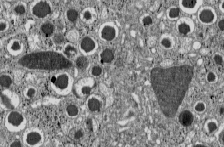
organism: C57BL Mouse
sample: Pancreatic islet